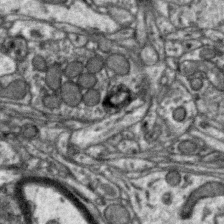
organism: Zebra finch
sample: Brain